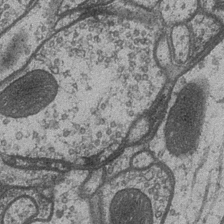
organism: Drosophila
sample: Optic medulla